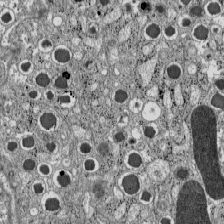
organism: C57BL Mouse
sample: Pancreatic islet